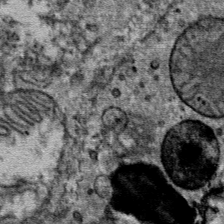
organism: Mouse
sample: Mouse Salivary gland